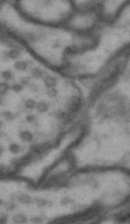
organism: Drosophila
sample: Brain